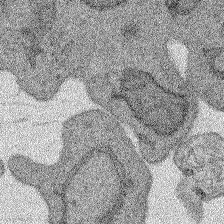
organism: Human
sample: HeLa cells